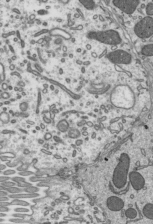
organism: Mouse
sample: Mouse epididymis efferent ductule cilia